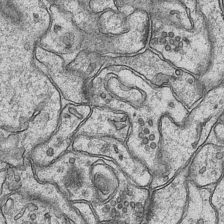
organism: Mouse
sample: CA1 Hippocampus